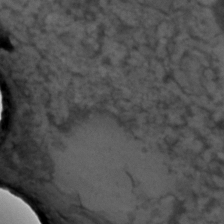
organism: C. elegans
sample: C. elegans embryo